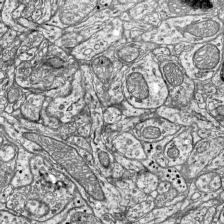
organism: Mouse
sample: Visual Cortex